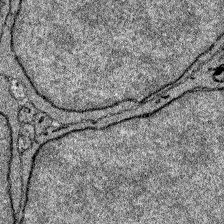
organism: Zebrafish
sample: Larval olfactory bulb